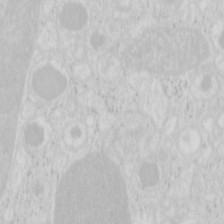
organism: Mouse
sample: Pancreas